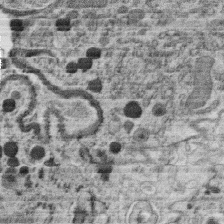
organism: C. elegans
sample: C. elegans oocyte; sperm cells